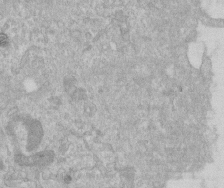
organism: Human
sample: Centriole in RPE cells